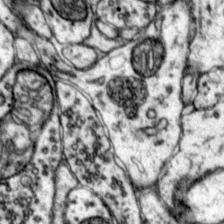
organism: Mouse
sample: Primary visual cortex